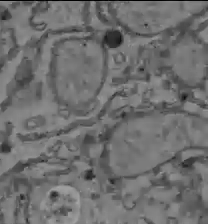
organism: C57BL Mouse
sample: Liver